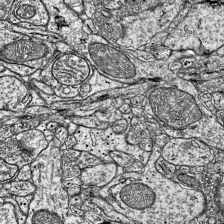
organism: Mouse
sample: Visual Cortex